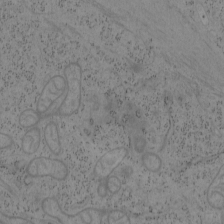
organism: Mouse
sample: OT-I killer T cells with ID8 ovarian cancer cells